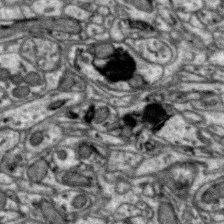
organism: Zebra finch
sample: Brain